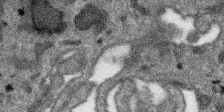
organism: Human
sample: Lung epithelial cells infected with SARS-CoV-2